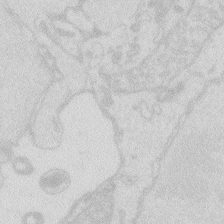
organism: Zebrafish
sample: Macrophage